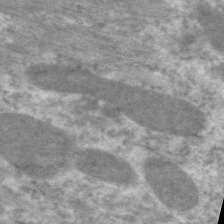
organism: C. elegans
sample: Pharynx